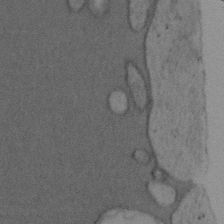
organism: Human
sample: HeLa cells